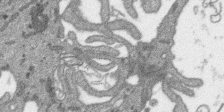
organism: Human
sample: Lung epithelial cells infected with SARS-CoV-2